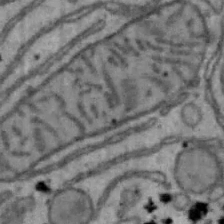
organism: Mouse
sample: Liver